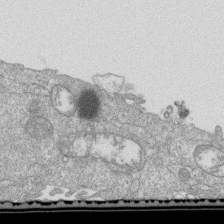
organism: Human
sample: HeLa cell HIV synapse